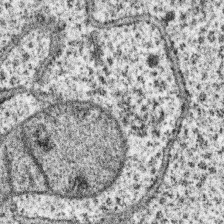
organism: Human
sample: HeLa cells